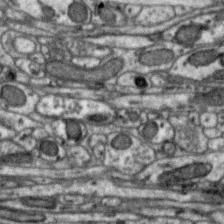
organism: Zebra finch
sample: Brain